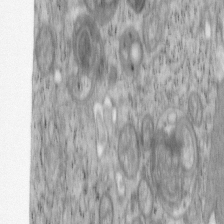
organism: Human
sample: HeLa cells